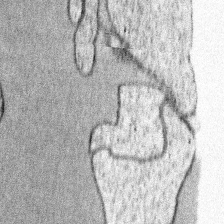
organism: Human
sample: HeLa cells